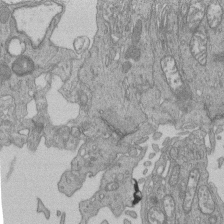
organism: Human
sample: Retinal organoid Rod and Cone cells